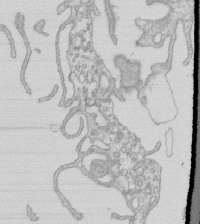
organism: Mouse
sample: Macrophages